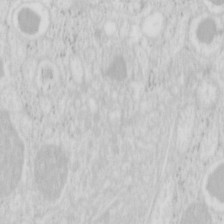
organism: Mouse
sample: Pancreas